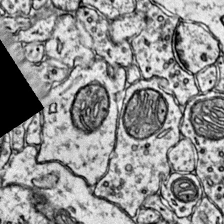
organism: Mouse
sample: Primary visual cortex